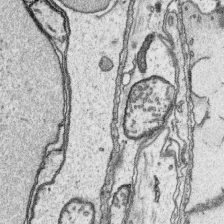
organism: Platynereis dumerilii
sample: Parapodia